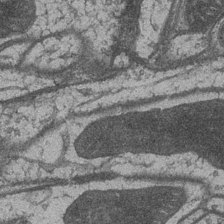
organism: Drosophila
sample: Optic medulla